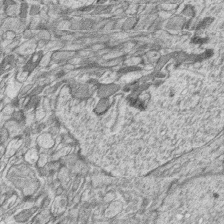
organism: Zebrafish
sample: synaptic ribbons in rod cells and cone cells